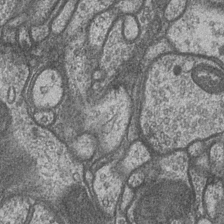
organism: Drosophila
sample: Optic medulla